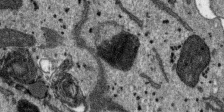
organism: Human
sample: Lung epithelial cells, uninfected (mock) control